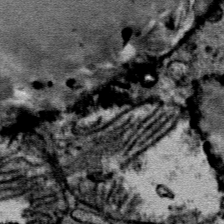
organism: Mouse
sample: Mouse Salivary gland